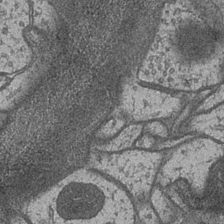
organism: Drosophila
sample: Optic medulla